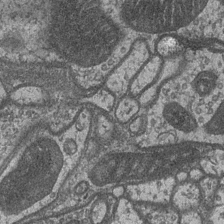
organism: Drosophila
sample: Optic medulla